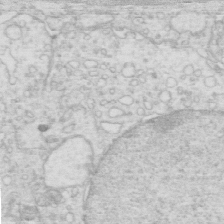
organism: Mouse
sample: Multiciliated cells